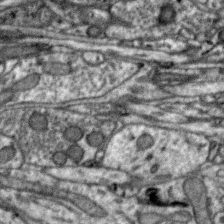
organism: Zebra finch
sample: Brain